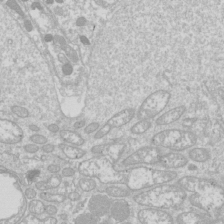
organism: Drosophila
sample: Cell division; meiosis; drosophila spermatocytes